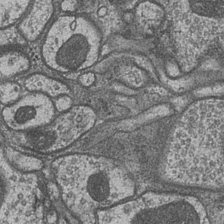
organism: Drosophila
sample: Optic medulla